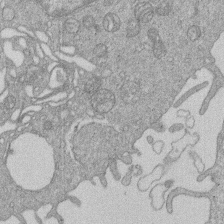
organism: Human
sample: Macrophage cells